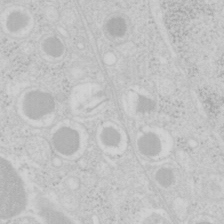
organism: Mouse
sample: Pancreas